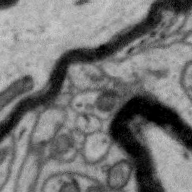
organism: Zebra finch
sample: Brain